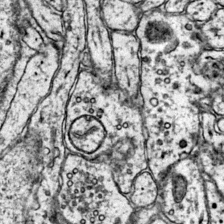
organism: Mouse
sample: Primary visual cortex